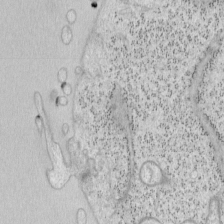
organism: Mouse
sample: OT-I killer T cells with ID8 ovarian cancer cells